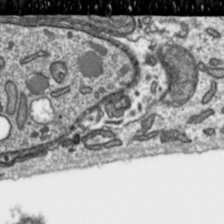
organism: Toxoplasma gondii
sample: Parasites in a vacuole inside a host cell